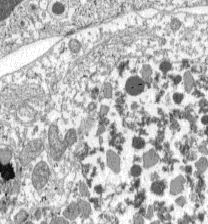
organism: C57BL Mouse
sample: Pancreatic islet